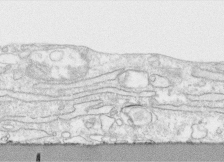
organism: Human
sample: CRL-1474